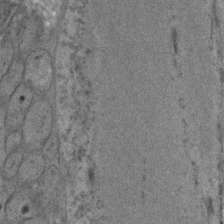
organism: C. elegans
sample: C. elegans embryo